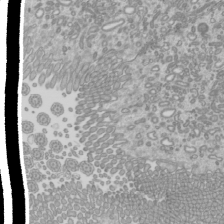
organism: Mouse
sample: Cilia; mouse epididymis